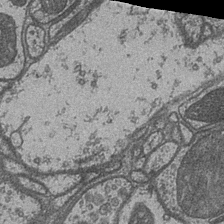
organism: Drosophila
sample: Optic medulla